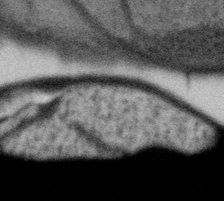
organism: Gemmata obscuriglobus